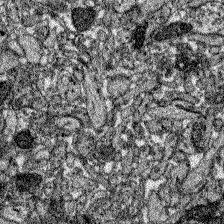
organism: Zebrafish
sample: Larval olfactory bulb